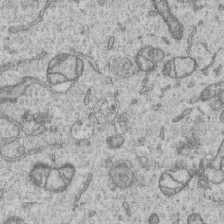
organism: Human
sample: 1205lu cells